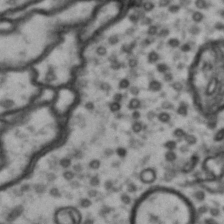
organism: Drosophila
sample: Brain